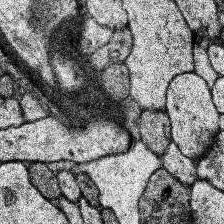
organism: Human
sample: Temporal Lobe